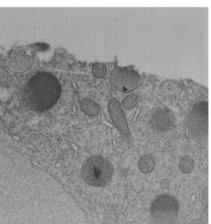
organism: C. elegans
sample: C. elegans embryo early stage